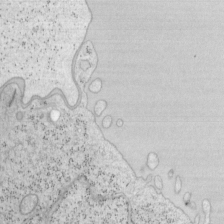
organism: Mouse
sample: OT-I killer T cells with ID8 ovarian cancer cells